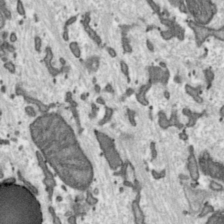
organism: Toxoplasma gondii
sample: Parasites in a vacuole inside a host cell